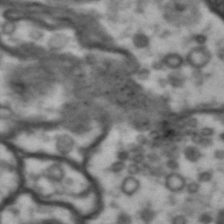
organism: Drosophila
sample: Brain